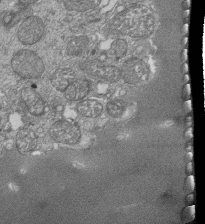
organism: Tetrahymena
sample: Cilia in tetrahymena